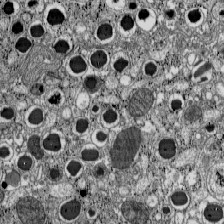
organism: C57BL Mouse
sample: Pancreatic islet